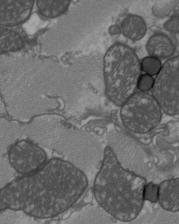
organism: C57BL Mouse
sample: Heart